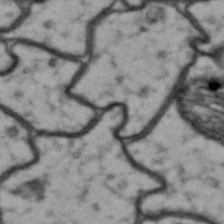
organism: Drosophila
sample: Brain